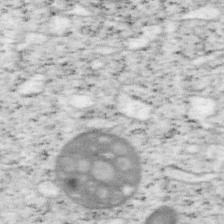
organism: Mouse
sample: OT-I killer T cells with ID8 ovarian cancer cells